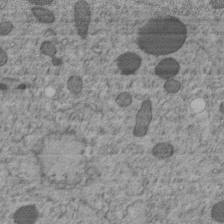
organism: C. elegans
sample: C. elegans embryo early stage